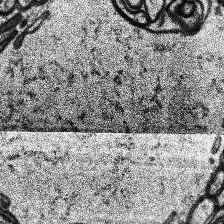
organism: Human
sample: Temporal Lobe